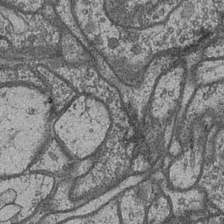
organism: Drosophila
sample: Optic medulla